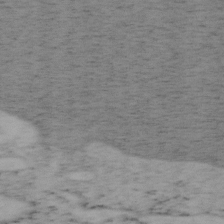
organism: Mouse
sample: OT-I killer T cells with ID8 ovarian cancer cells